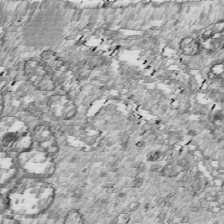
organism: Drosophila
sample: Cell division; meiosis; drosophila spermatocytes